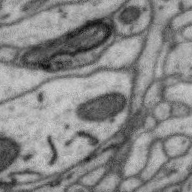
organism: Zebra finch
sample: Brain